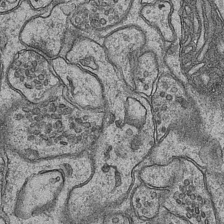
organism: Mouse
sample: CA1 Hippocampus